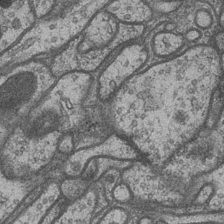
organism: Drosophila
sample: Optic medulla